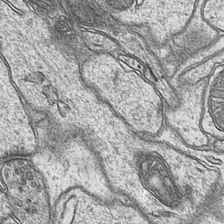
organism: Mouse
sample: CA1 Hippocampus